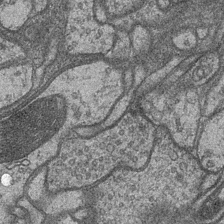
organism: Drosophila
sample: Optic medulla